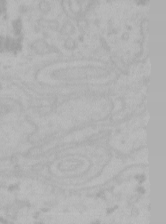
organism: Mouse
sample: Choroid plexus